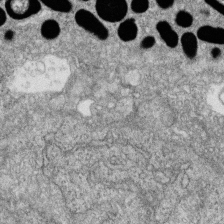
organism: Zebrafish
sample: Cilia; retinal pigment epithelium